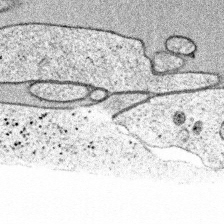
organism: Human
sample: HeLa cells